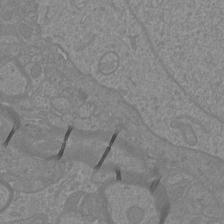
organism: Mouse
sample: Cortical neurons